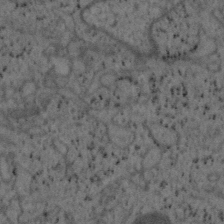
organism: Human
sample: HeLa cells